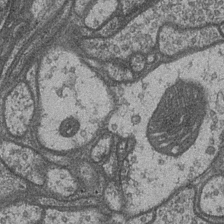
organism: Drosophila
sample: Optic medulla